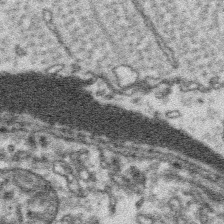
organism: Platynereis dumerilii